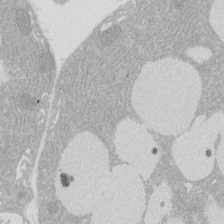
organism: Rat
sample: Salivary granule